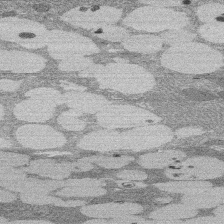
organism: Rat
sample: Salivary granule